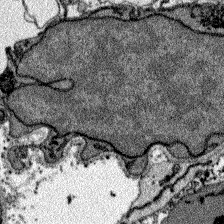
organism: Zebrafish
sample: Larval olfactory bulb